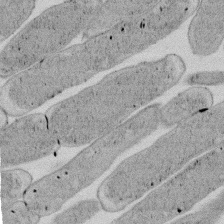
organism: E. coli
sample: Bacterial nucleoid